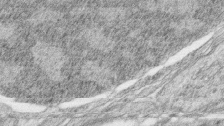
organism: Zebrafish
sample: synaptic ribbons in rod cells and cone cells